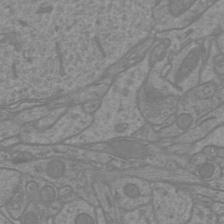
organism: Mouse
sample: Cortical neurons